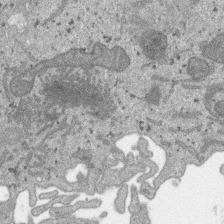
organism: Human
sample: Lung epithelial cells infected with SARS-CoV-2